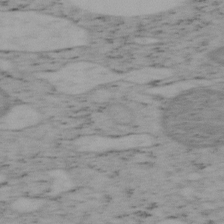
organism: Mouse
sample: OT-I killer T cells with ID8 ovarian cancer cells